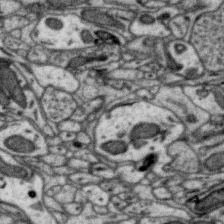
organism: Zebra finch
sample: Brain